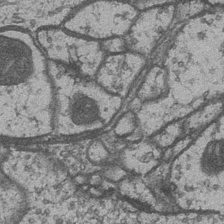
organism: Drosophila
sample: Optic medulla